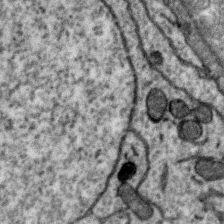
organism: Zebra finch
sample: Brain